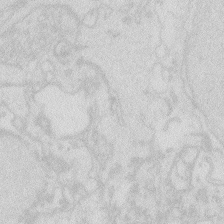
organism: Zebrafish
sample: Macrophage